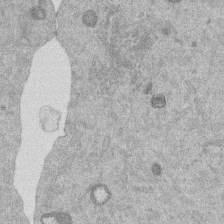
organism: Mouse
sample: Dividing mouse embryo 1 cell stage